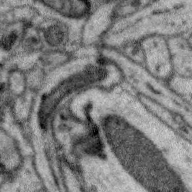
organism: Zebra finch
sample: Brain